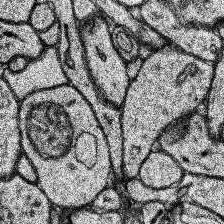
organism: Human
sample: Temporal Lobe